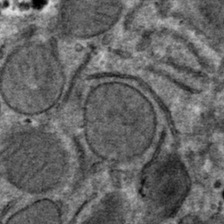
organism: Mouse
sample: Mouse hepatocytes